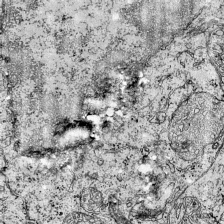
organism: Mouse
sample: Visual Cortex